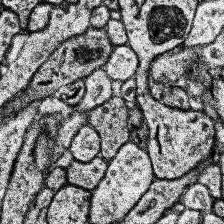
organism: Human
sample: Temporal Lobe